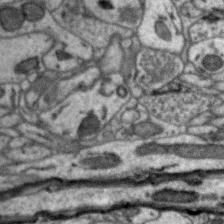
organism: Zebra finch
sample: Brain